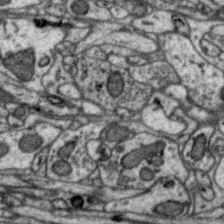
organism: Zebra finch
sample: Brain